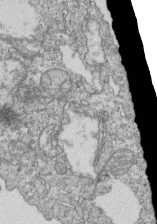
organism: Human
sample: HeLa cell HIV synapse